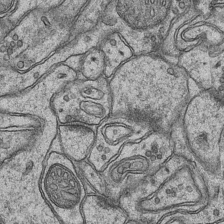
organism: Mouse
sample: CA1 Hippocampus